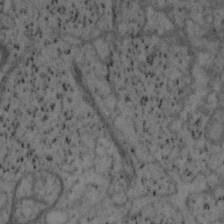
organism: Human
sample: HeLa cells